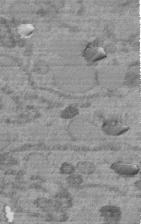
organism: C. elegans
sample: C. elegans embryo early stage